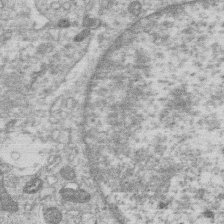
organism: Human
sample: Macrophage cells